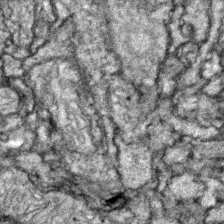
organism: Zebrafish